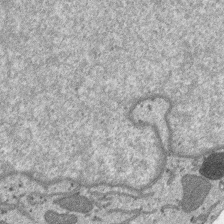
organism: Human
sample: Lung epithelial cells infected with SARS-CoV-2